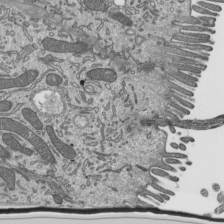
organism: Mouse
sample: Mouse epididymis efferent ductule cilia